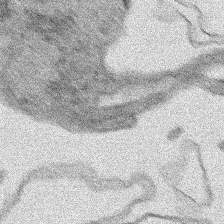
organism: Human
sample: Mitochondria in HCT116 cells